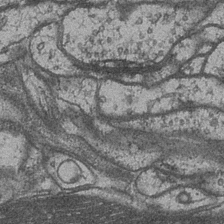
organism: Drosophila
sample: Optic medulla